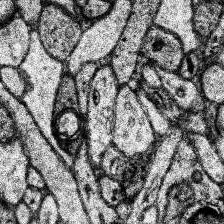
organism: Human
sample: Temporal Lobe